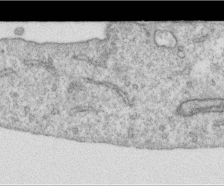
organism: Human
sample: Centriole in RPE cells